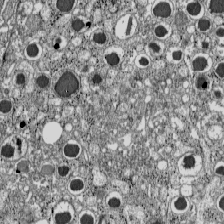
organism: C57BL Mouse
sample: Pancreatic islet